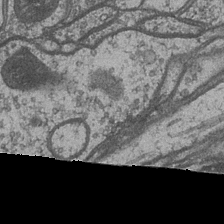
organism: Drosophila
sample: Optic medulla